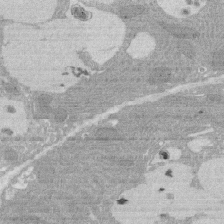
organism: Rat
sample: Salivary granule